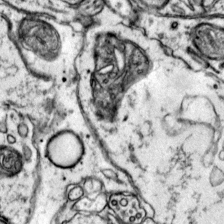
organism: Mouse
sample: Primary visual cortex